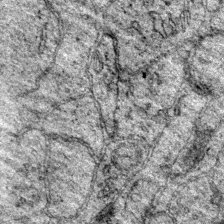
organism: Mouse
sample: Primary visual cortex